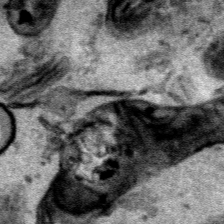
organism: Human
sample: Mitochondria in HCT116 cells